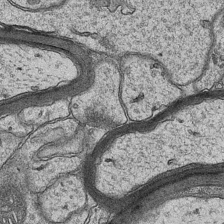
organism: Mouse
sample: CA1 Hippocampus